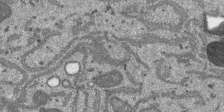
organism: Human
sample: Lung epithelial cells infected with SARS-CoV-2